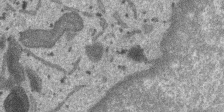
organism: Human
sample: Lung epithelial cells infected with SARS-CoV-2